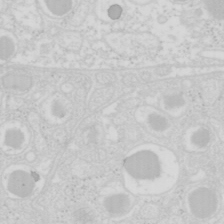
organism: Mouse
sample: Pancreas